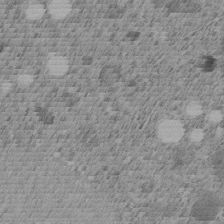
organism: C. elegans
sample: C. elegans embryo early stage